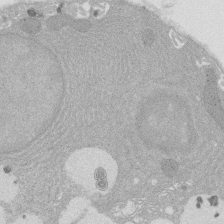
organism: Rat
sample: Salivary granule